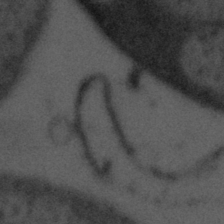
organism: Tuwongella immobilis